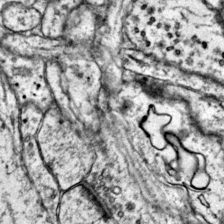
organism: Mouse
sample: Primary visual cortex